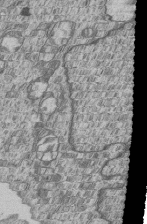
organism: Human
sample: MDA-MB-231 cells